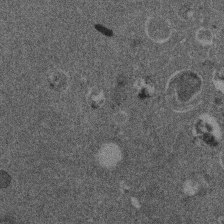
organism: Mouse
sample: Dividing mouse embryo 1 cell stage